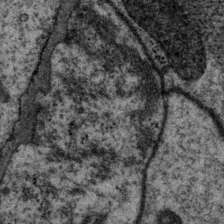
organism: P. pacificus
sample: Pharynx